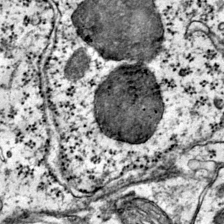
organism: Mouse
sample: Primary visual cortex